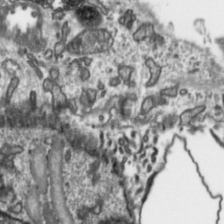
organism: Toxoplasma gondii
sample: Parasites in a vacuole inside a host cell